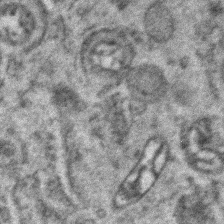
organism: Zebrafish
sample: Zebrafish embryo